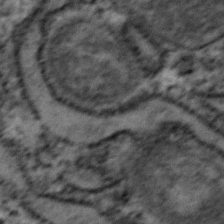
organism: Zebrafish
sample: Zebrafish embryo